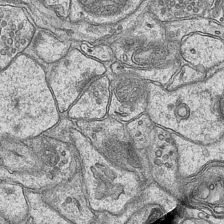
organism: Mouse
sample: CA1 Hippocampus